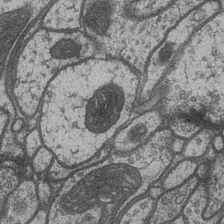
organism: Drosophila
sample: Optic medulla